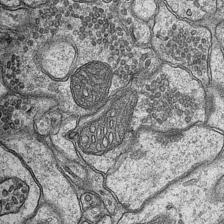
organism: Mouse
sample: CA1 Hippocampus